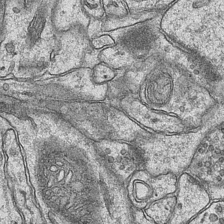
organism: Mouse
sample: CA1 Hippocampus